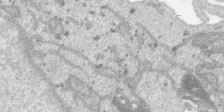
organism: Human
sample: Lung epithelial cells infected with SARS-CoV-2